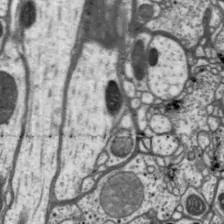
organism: Drosophila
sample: Protocerebral bridge